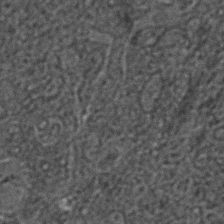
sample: Trachea